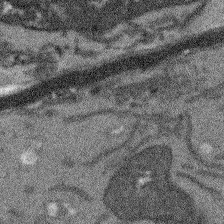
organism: Arabidopsis thaliana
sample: Root tip